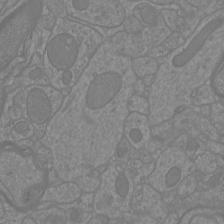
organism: Mouse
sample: Cortical neurons